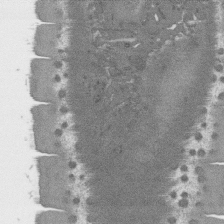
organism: C. elegans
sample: AFD neurons C. elegans